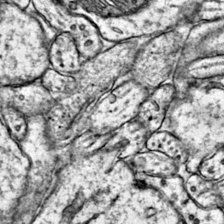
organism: Mouse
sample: Primary visual cortex